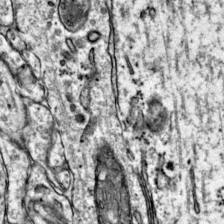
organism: Mouse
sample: Primary visual cortex